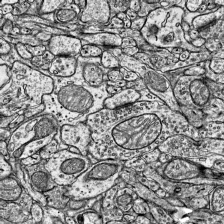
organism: Mouse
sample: Visual Cortex